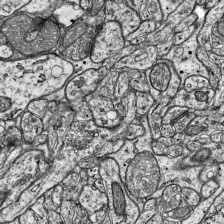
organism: Mouse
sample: Visual Cortex